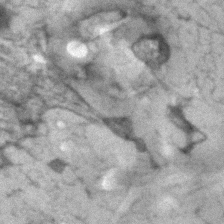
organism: Human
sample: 1205lu cells